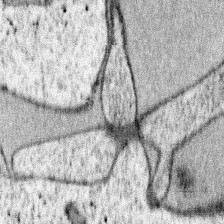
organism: Human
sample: HeLa cells